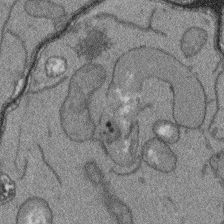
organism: Arabidopsis thaliana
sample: Root tip